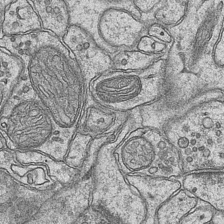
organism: Mouse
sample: CA1 Hippocampus